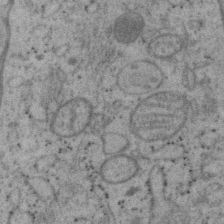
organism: Human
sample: HeLa cells